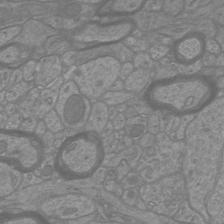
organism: Mouse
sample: Cortical neurons